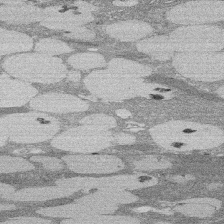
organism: Rat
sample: Salivary granule